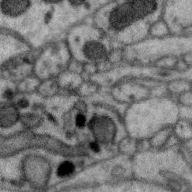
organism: Zebra finch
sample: Brain